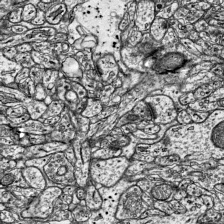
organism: Mouse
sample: Visual Cortex